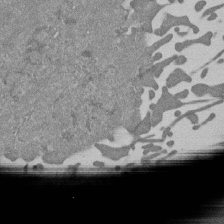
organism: Mouse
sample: ED-1 cell nuclei; centrioles